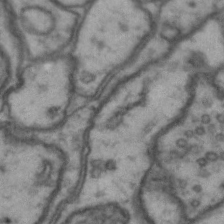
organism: Drosophila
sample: Brain